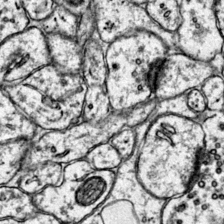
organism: Mouse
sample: Primary visual cortex